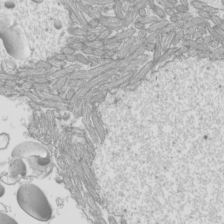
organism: Mouse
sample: Cilia; mouse epididymis